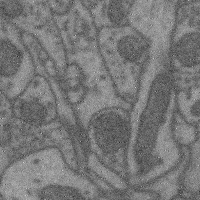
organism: Mouse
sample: Cerebral cortex